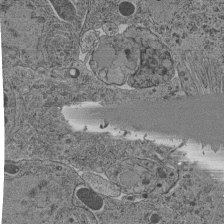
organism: C. elegans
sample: C. elegans pharynx